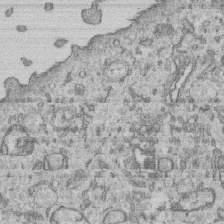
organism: Human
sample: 1205lu cells